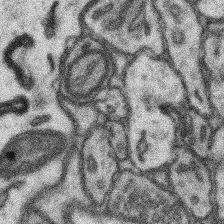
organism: Mouse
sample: Somatosensory cortex neuropil